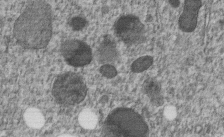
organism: C. elegans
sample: C. elegans embryo early stage